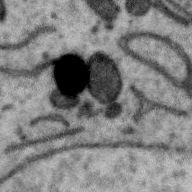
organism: Zebra finch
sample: Brain